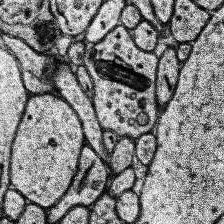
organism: Human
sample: Temporal Lobe